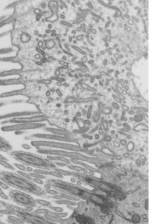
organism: Mouse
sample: Mouse epididymis efferent ductule cilia